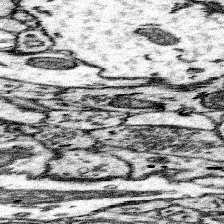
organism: Mouse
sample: Somatosensory cortex neuropil